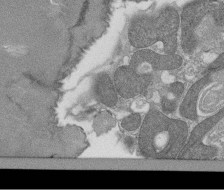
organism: Tetrahymena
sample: Cilia in tetrahymena